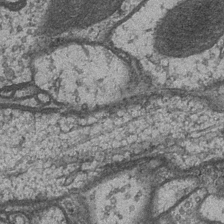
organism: Drosophila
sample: Optic medulla